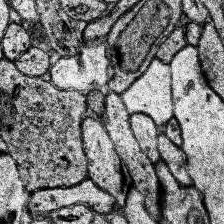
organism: Human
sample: Temporal Lobe